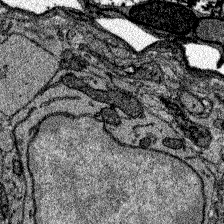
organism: Zebrafish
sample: Larval olfactory bulb